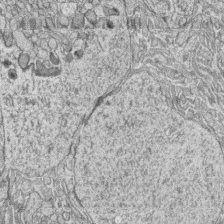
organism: Zebrafish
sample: synaptic ribbons in rod cells and cone cells